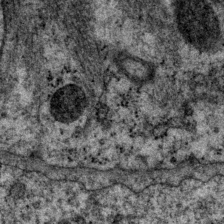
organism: P. pacificus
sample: Pharynx